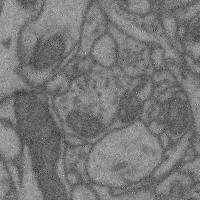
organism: Mouse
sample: Cerebral cortex